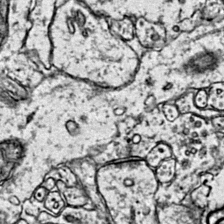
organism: Mouse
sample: Primary visual cortex